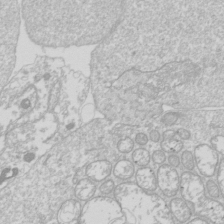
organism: Drosophila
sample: Cell division; meiosis; drosophila spermatocytes